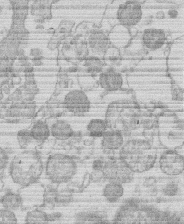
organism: Human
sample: Macrophage cells